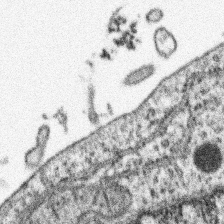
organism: Human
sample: HeLa cells